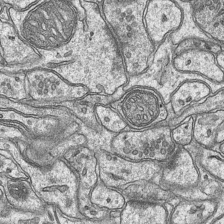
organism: Mouse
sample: CA1 Hippocampus